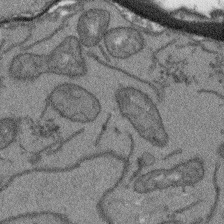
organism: Arabidopsis thaliana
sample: Root tip